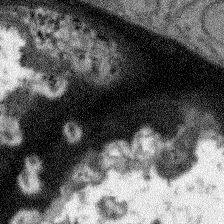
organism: Arabidopsis thaliana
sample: Root tip